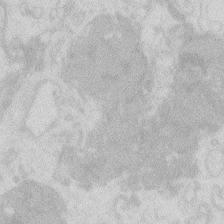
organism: Zebrafish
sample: Macrophage